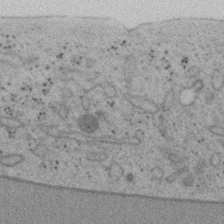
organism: Human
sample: HeLa cells